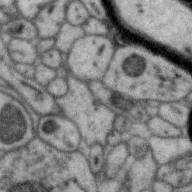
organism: Zebra finch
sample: Brain